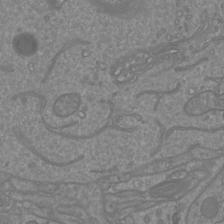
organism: Mouse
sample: Cortical neurons